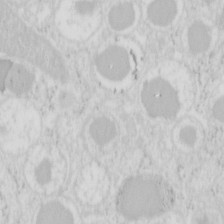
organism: Mouse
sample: Pancreas